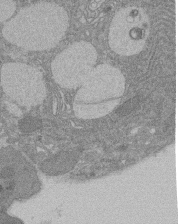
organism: Rat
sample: Salivary granule